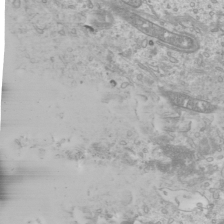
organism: Mouse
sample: Cilia; mouse epididymis